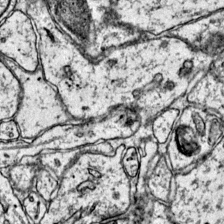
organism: Mouse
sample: Primary visual cortex